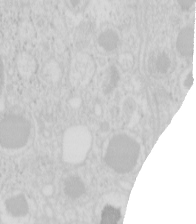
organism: Mouse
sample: Pancreas